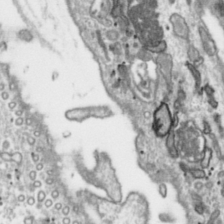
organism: Toxoplasma gondii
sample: Parasites in a vacuole inside a host cell